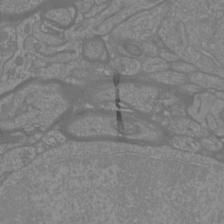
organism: Mouse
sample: Cortical neurons